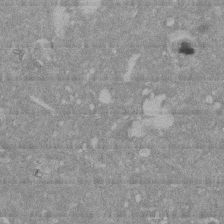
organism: Mouse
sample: ED-1 cell nuclei; centrioles